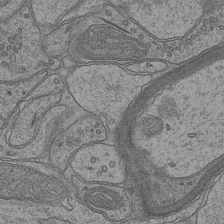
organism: Mouse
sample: CA1 Hippocampus